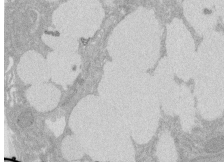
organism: Rat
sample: Salivary granule